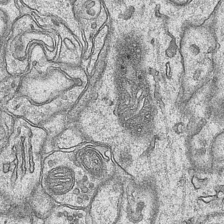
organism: Mouse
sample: CA1 Hippocampus